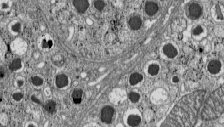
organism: C57BL Mouse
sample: Pancreatic islet